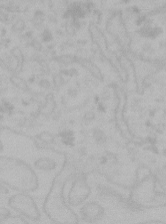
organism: Mouse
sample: Choroid plexus